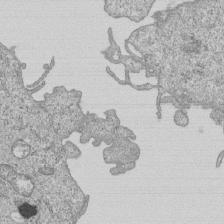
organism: Human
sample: MDA-MB-231 cells